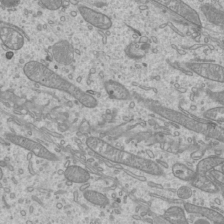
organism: Mouse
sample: Cilia; mouse epididymis